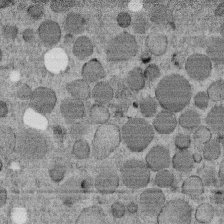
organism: C. elegans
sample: C. elegans embryo early stage